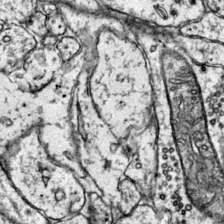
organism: Mouse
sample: Primary visual cortex